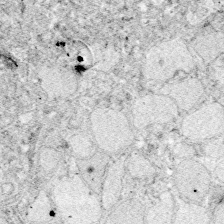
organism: Zebrafish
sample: Whole-Brain